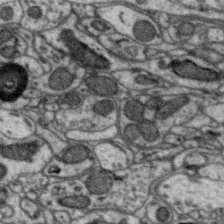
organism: Zebra finch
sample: Brain